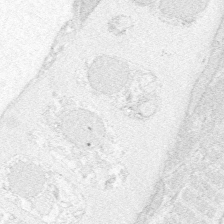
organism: Zebrafish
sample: Whole-Brain